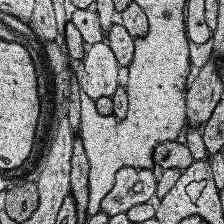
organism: Human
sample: Temporal Lobe